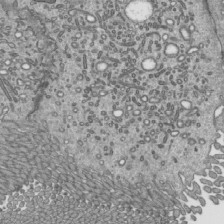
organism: Mouse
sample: Mouse epididymis efferent ductule cilia